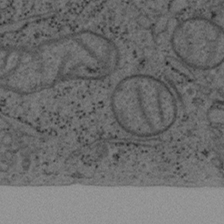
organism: Human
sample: HeLa cells